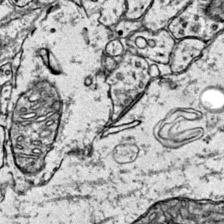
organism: Mouse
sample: Primary visual cortex